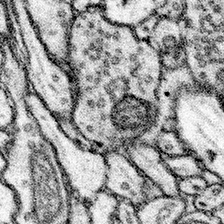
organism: Mouse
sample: Somatosensory cortex neuropil